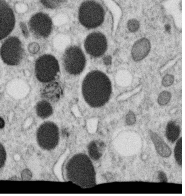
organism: C. elegans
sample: C. elegans oocyte; sperm cells